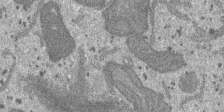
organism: Human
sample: Lung epithelial cells infected with SARS-CoV-2